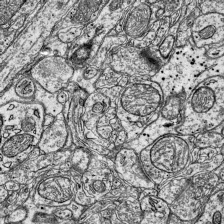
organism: Mouse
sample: Visual Cortex